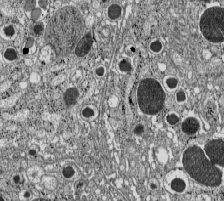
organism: C57BL Mouse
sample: Pancreatic islet